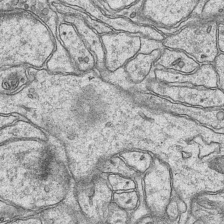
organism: Mouse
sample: CA1 Hippocampus